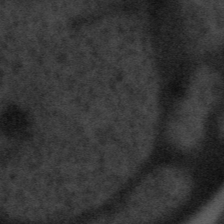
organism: Tuwongella immobilis